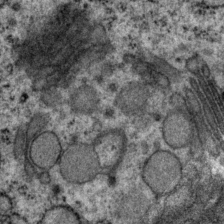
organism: P. pacificus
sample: Pharynx